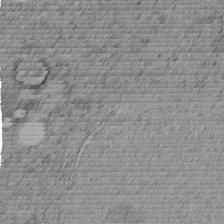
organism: C. elegans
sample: C. elegans embryo early stage